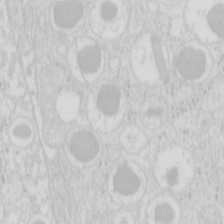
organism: Mouse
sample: Pancreas